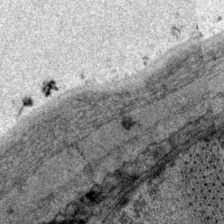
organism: P. pacificus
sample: Pharynx